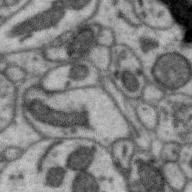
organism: Zebra finch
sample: Brain